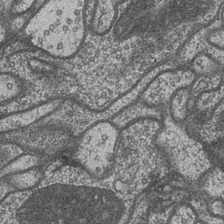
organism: Drosophila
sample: Optic medulla